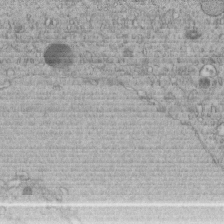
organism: C. elegans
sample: C. elegans embryo early stage